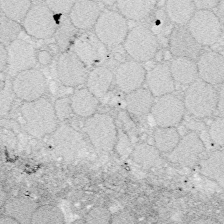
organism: Zebrafish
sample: Whole-Brain